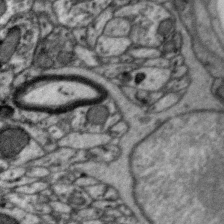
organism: Zebra finch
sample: Brain